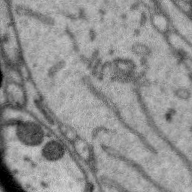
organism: Zebra finch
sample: Brain